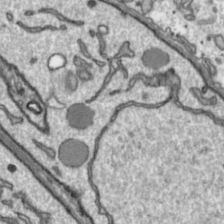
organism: Toxoplasma gondii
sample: Parasites in a vacuole inside a host cell